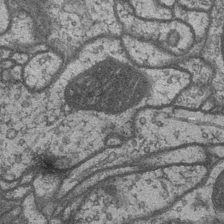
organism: Drosophila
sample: Optic medulla